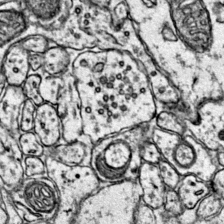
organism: Mouse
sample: Primary visual cortex